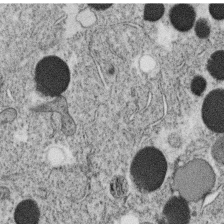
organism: C. elegans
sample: C. elegans oocyte; sperm cells